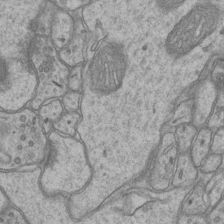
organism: Mouse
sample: CA1 Hippocampus